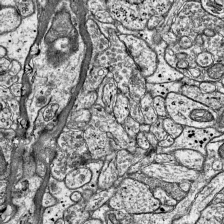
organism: Mouse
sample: Visual Cortex